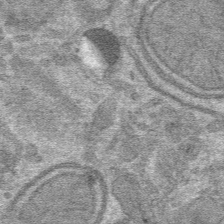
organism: Mouse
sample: Mouse hepatocytes